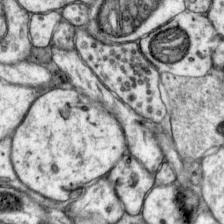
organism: Mouse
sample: Primary visual cortex